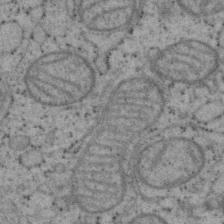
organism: Human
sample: HeLa cells